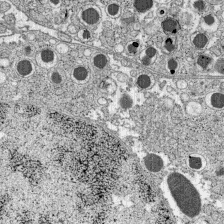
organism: C57BL Mouse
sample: Pancreatic islet